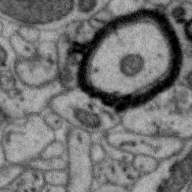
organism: Zebra finch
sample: Brain